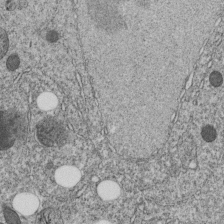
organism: C. elegans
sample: C. elegans embryo early stage